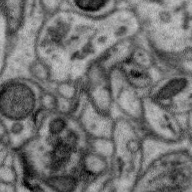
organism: Zebra finch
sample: Brain